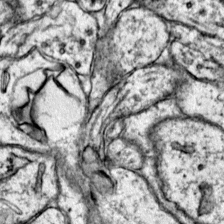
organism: Mouse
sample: Primary visual cortex